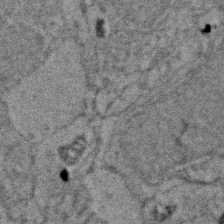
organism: Zebrafish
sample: Zebrafish embryo